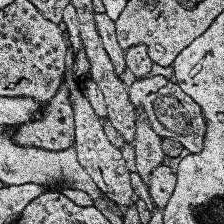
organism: Human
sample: Temporal Lobe